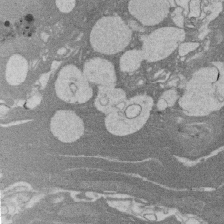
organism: Rat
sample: Salivary granule